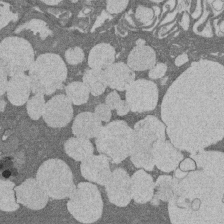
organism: Rat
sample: Salivary granule